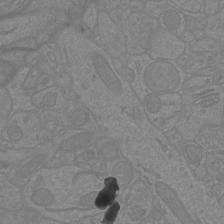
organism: Mouse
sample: Cortical neurons